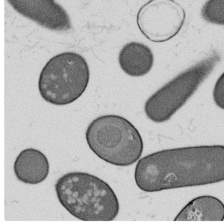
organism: B. subtilis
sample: Bacterial spore